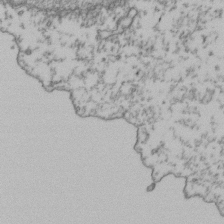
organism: Human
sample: Activated Jurkat CD4+ T cells